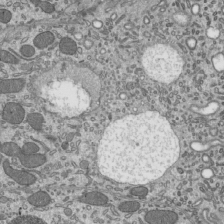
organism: Mouse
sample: Mouse epididymis efferent ductule cilia